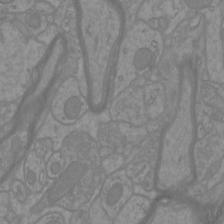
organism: Mouse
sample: Cortical neurons